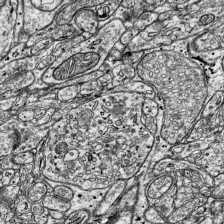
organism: Mouse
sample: Visual Cortex